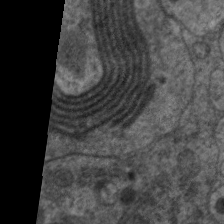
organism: C. elegans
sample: Pharynx